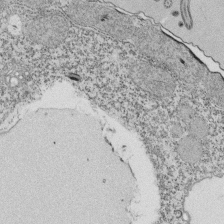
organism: Tetrahymena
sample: Cilia in tetrahymena